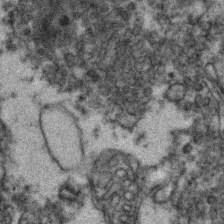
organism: Zebrafish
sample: Zebrafish embryo